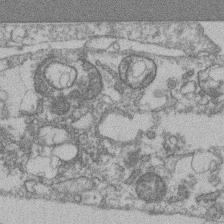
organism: Mouse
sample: T cell stromal cell synapse